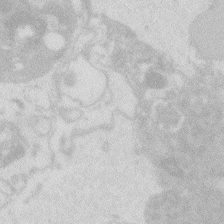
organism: Zebrafish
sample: Macrophage